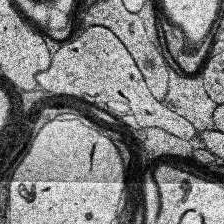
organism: Human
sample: Temporal Lobe